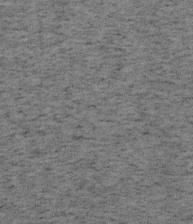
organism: Mouse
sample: OT-I killer T cells with ID8 ovarian cancer cells